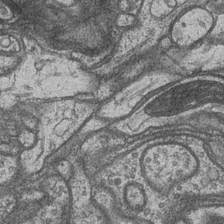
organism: Drosophila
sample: Optic medulla